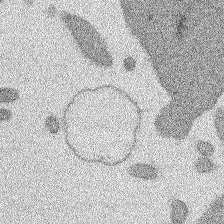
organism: Human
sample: HeLa cells